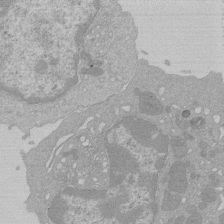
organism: Mouse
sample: Activated Pmel transgenic CD8+ T Cells